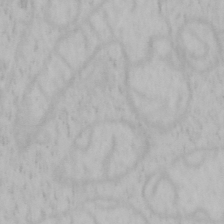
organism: Human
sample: HeLa cells